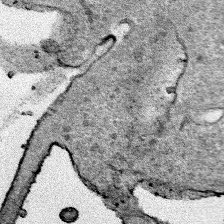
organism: Human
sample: Mitochondria in HCT116 cells